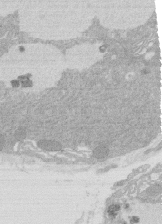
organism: Rat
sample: Salivary granule